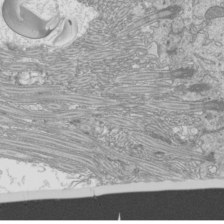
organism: Mouse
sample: Cilia; mouse epididymis